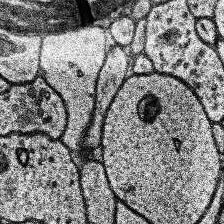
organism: Human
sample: Temporal Lobe